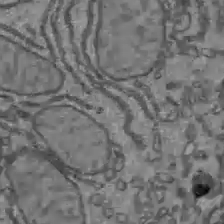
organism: C57BL Mouse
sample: Liver